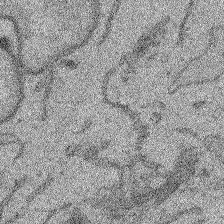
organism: Human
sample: HeLa cells